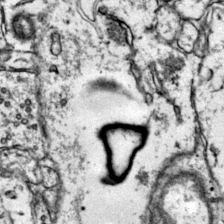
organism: Mouse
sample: Primary visual cortex